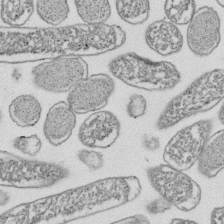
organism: E. coli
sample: Bacterial nucleoid